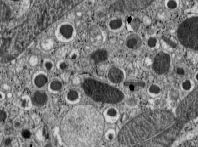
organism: C57BL Mouse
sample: Pancreatic islet